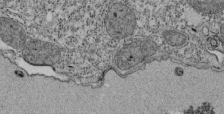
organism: Tetrahymena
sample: Cilia in tetrahymena